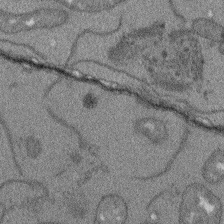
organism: Arabidopsis thaliana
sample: Root tip